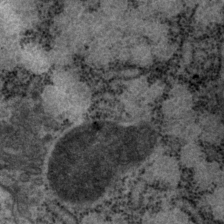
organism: P. pacificus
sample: Pharynx